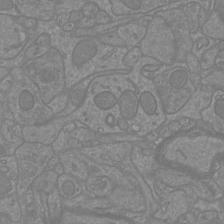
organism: Mouse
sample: Cortical neurons